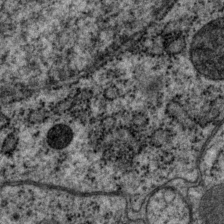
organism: P. pacificus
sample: Pharynx